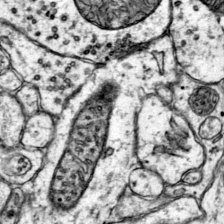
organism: Mouse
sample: Primary visual cortex